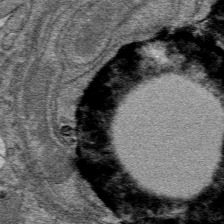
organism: Mouse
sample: Mouse hepatocytes